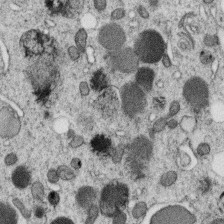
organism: C. elegans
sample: C. elegans oocyte; sperm cells